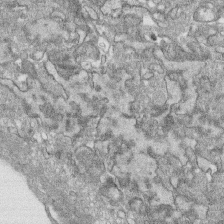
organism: Human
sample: CRL-1474